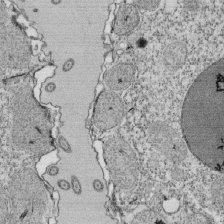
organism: Tetrahymena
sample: Cilia in tetrahymena